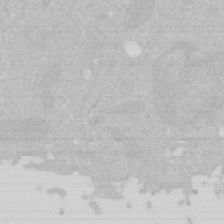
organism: Human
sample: HIV infected U937 cells